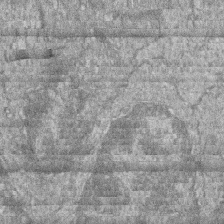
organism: Zebrafish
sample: Cilia; retinal pigment epithelium